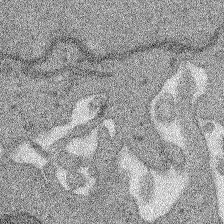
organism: Human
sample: HeLa cells